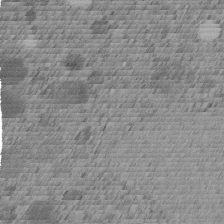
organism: C. elegans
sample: C. elegans embryo early stage